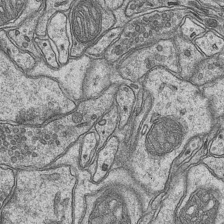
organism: Mouse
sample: CA1 Hippocampus